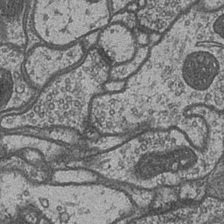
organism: Drosophila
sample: Optic medulla